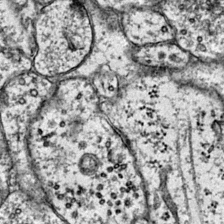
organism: Mouse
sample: Primary visual cortex